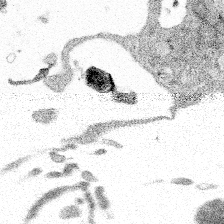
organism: Spongilla lacustris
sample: Multiple